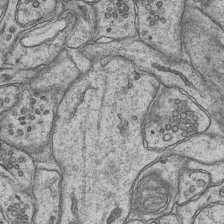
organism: Mouse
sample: CA1 Hippocampus